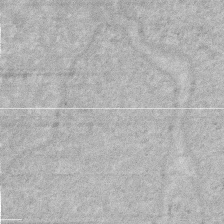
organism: Human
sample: HIV infected U937 cells